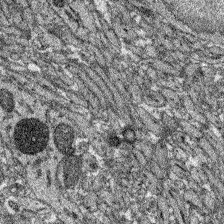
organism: Zebrafish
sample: Larval olfactory bulb